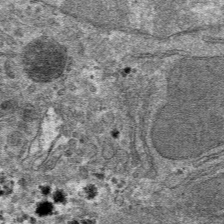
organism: Mouse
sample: Mouse hepatocytes